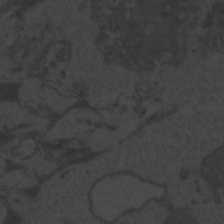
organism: Zebrafish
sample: Macrophage infected with Toxoplasma gondii